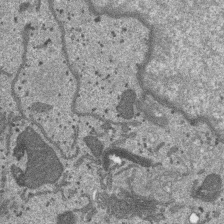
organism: Human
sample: Lung epithelial cells infected with SARS-CoV-2